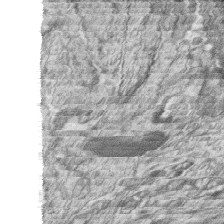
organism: Zebrafish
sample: synaptic ribbons in rod cells and cone cells